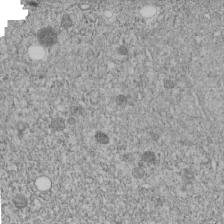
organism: C. elegans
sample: C. elegans embryo early stage